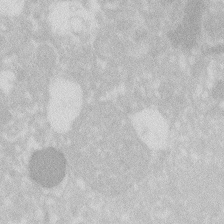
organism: Zebrafish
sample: Macrophage